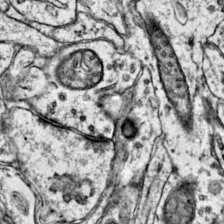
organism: Mouse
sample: Primary visual cortex